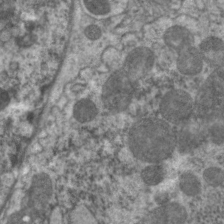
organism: C. elegans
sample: Pharynx